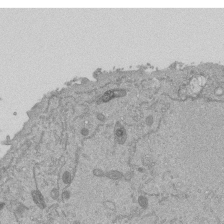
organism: Mouse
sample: ED-1 cell nuclei; centrioles